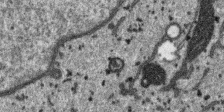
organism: Human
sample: Lung epithelial cells infected with SARS-CoV-2